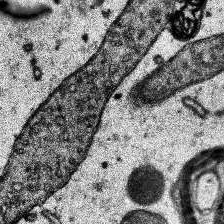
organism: Human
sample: Temporal Lobe